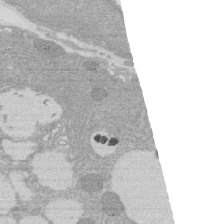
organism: Rat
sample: Salivary granule